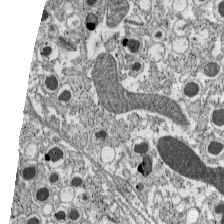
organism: C57BL Mouse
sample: Pancreatic islet